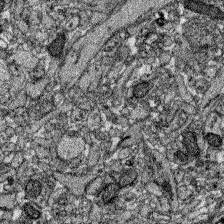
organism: Zebrafish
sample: Larval olfactory bulb